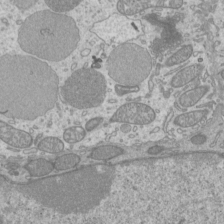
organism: Mouse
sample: Cilia; mouse epididymis